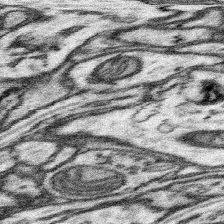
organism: Mouse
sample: Somatosensory cortex neuropil